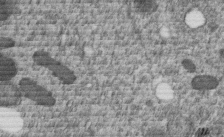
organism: C. elegans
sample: C. elegans embryo early stage